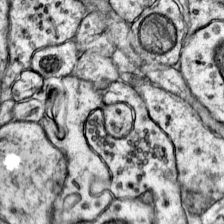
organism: Mouse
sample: Primary visual cortex